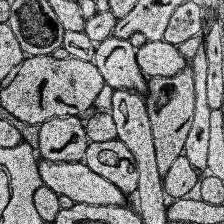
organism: Human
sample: Temporal Lobe